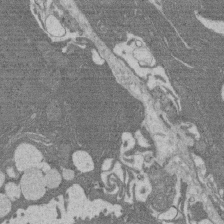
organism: Rat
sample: Salivary granule